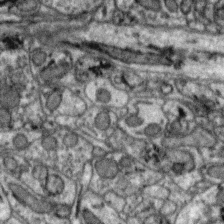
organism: Zebra finch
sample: Brain